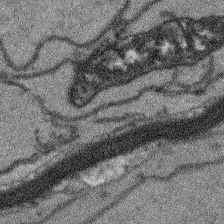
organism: Arabidopsis thaliana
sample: Root tip